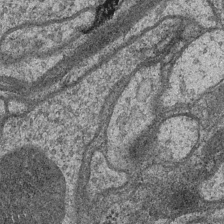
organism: Drosophila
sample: Optic medulla